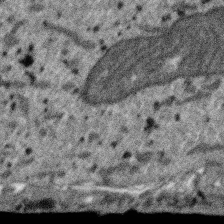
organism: Human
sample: Lung epithelial cells infected with SARS-CoV-2